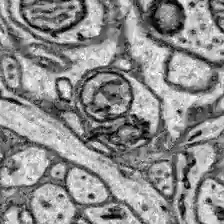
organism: Zebrafish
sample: Brain